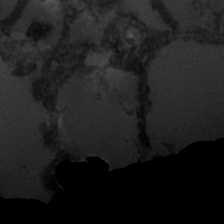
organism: C. elegans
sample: C. elegans embryo